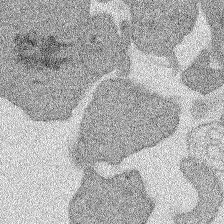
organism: Human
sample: HeLa cells